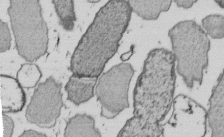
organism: E. coli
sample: Bacterial nucleoid